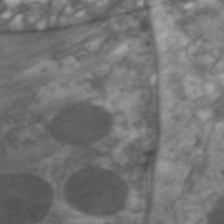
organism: C. elegans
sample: Pharynx